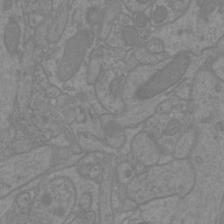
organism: Mouse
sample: Cortical neurons